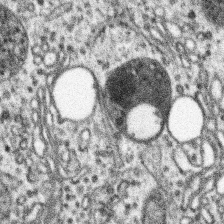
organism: Human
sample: HeLa cells